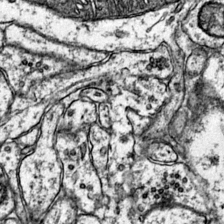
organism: Mouse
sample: Primary visual cortex